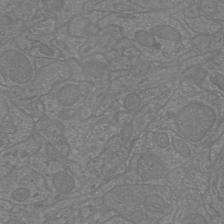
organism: Mouse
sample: Cortical neurons